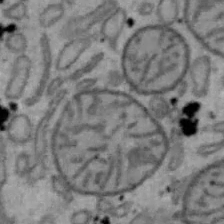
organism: Mouse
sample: Liver